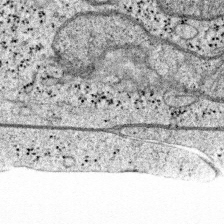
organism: Human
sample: HeLa cells